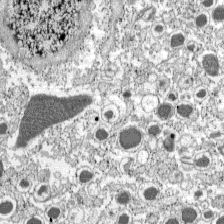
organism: C57BL Mouse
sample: Pancreatic islet